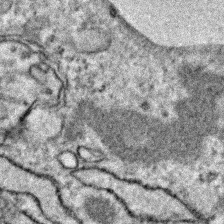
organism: Zebrafish